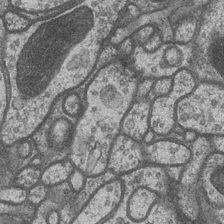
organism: Drosophila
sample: Optic medulla